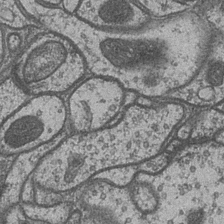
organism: Drosophila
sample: Optic medulla